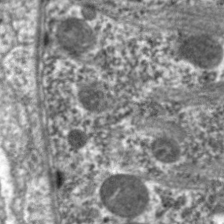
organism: C. elegans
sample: Pharynx